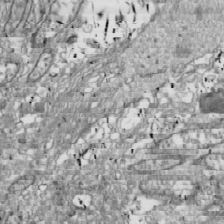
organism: Drosophila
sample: Cell division; meiosis; drosophila spermatocytes